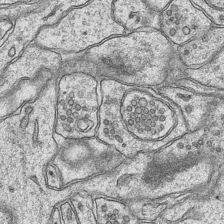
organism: Mouse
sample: CA1 Hippocampus